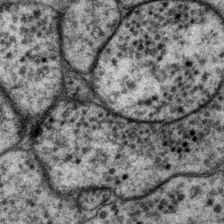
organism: P. pacificus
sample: Pharynx